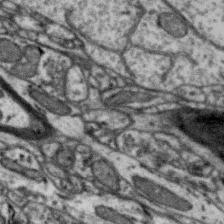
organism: Zebra finch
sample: Brain